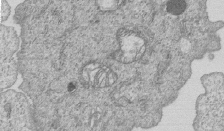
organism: Human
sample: MDA-MB-231 cells